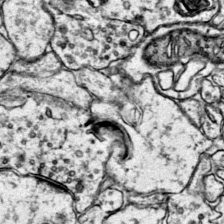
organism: Mouse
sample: Primary visual cortex